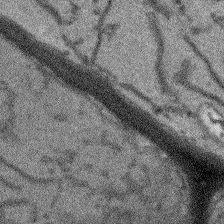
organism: Arabidopsis thaliana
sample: Root tip